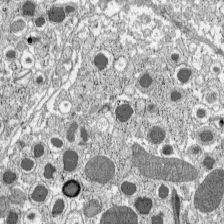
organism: C57BL Mouse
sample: Pancreatic islet